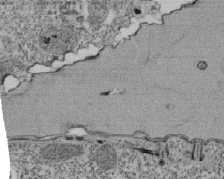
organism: Tetrahymena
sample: Cilia in tetrahymena